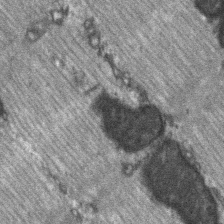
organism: C57BL Mouse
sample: Soleus